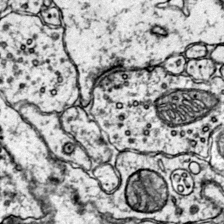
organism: Mouse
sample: Primary visual cortex